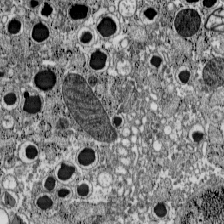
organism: C57BL Mouse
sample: Pancreatic islet